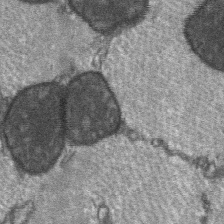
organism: C57BL Mouse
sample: Soleus